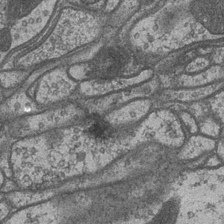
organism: Drosophila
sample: Optic medulla